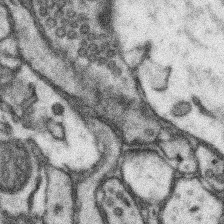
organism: Mouse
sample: Somatosensory cortex neuropil